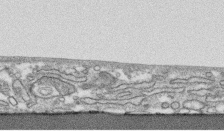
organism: Human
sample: CRL-1474